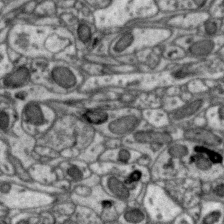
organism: Zebra finch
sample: Brain